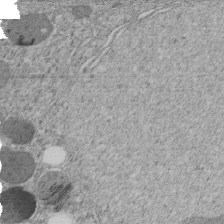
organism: C. elegans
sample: C. elegans embryo early stage